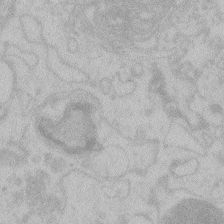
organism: Zebrafish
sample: Macrophage infected with Toxoplasma gondii